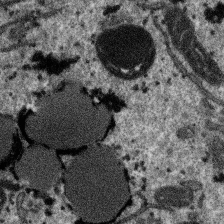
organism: Human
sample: Lung epithelial cells infected with SARS-CoV-2